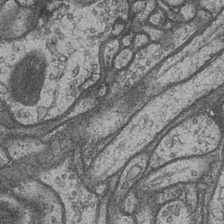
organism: Drosophila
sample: Optic medulla